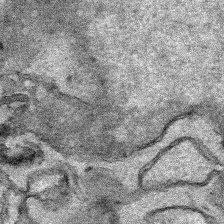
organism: Human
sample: Mitochondria in HCT116 cells